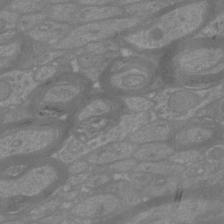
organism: Mouse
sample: Cortical neurons